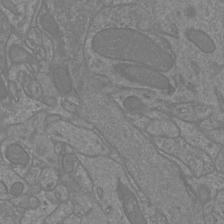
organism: Mouse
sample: Cortical neurons